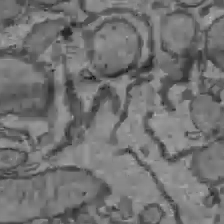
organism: C57BL Mouse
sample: Liver